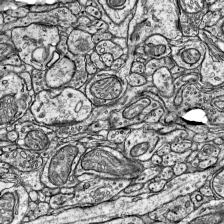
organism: Mouse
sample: Visual Cortex